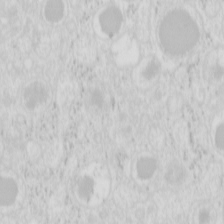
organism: Mouse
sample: Pancreas